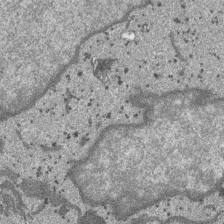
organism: Human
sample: Lung epithelial cells infected with SARS-CoV-2